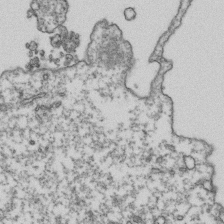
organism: Human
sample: Activated Jurkat CD4+ T cells